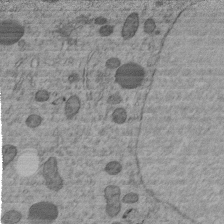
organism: C. elegans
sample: C. elegans embryo early stage